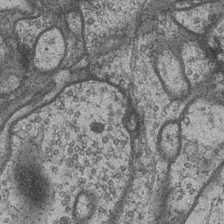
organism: Drosophila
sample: Optic medulla